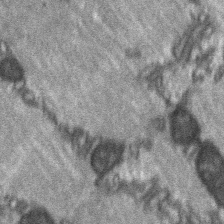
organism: C57BL Mouse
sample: Soleus